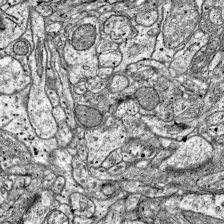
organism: Mouse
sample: Visual Cortex